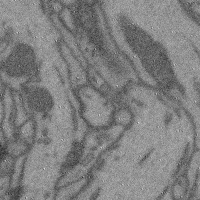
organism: Mouse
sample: Cerebral cortex